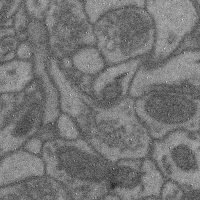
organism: Mouse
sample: Cerebral cortex